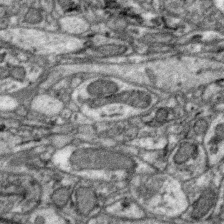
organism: Zebra finch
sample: Brain